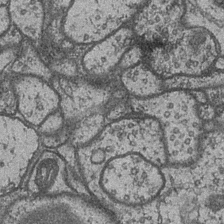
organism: Drosophila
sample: Optic medulla